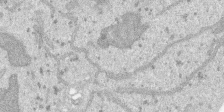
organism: Human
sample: Lung epithelial cells infected with SARS-CoV-2